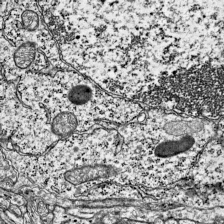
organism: Mouse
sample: Visual Cortex